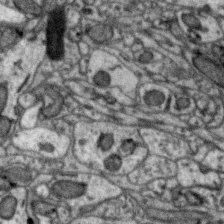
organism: Zebra finch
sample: Brain